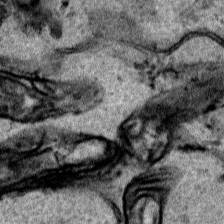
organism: Human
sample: Mitochondria in HCT116 cells